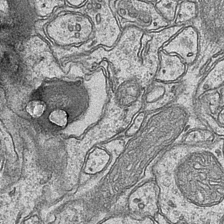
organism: Mouse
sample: CA1 Hippocampus